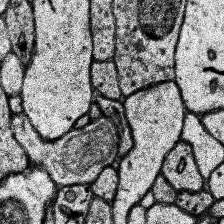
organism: Human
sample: Temporal Lobe